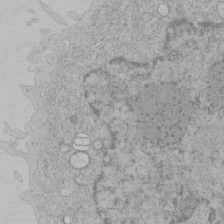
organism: Human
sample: Mitochondria in HCT116 cells